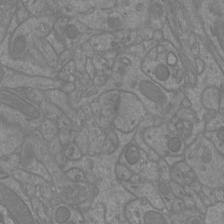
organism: Mouse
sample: Cortical neurons